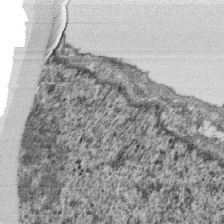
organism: African green monkey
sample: Vero E6 cells infected with SARS-CoV-2